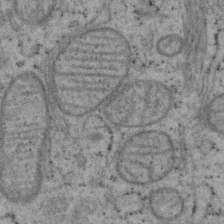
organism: Human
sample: HeLa cells